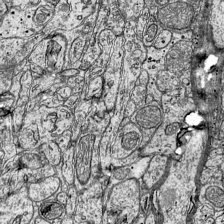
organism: Mouse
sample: Visual Cortex